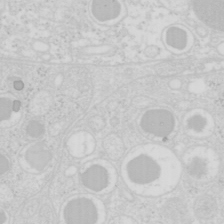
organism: Mouse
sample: Pancreas